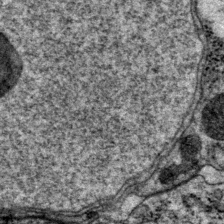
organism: P. pacificus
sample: Pharynx